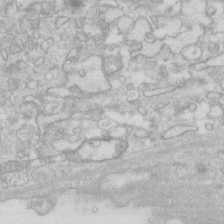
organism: Human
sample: Fibroblast cells